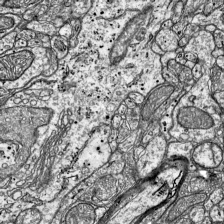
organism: Mouse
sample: Visual Cortex